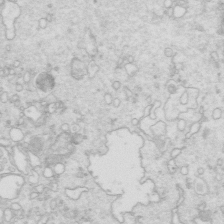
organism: Mouse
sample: Multiciliated cells